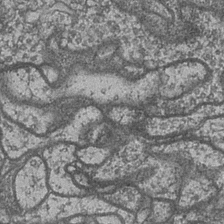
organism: Drosophila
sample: Optic medulla